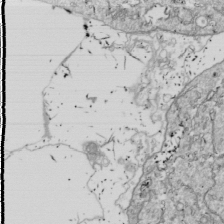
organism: Drosophila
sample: Cell division; meiosis; drosophila spermatocytes